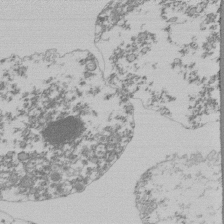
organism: Mouse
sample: Activated Pmel transgenic CD8+ T Cells